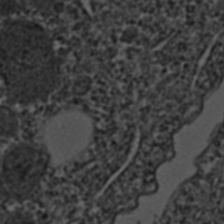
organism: C. elegans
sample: C. elegans embryo